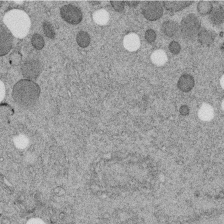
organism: C. elegans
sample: C. elegans embryo early stage